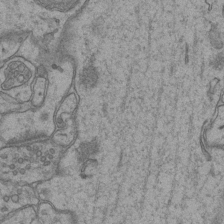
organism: Mouse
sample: CA1 Hippocampus